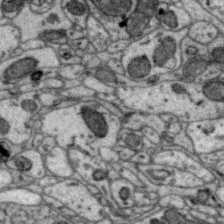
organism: Zebra finch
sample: Brain